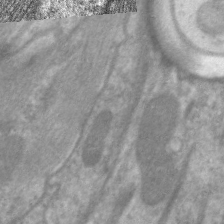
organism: C. elegans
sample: Pharynx